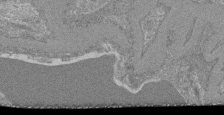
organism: Mouse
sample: Glomerulus